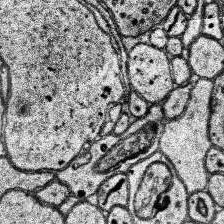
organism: Human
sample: Temporal Lobe